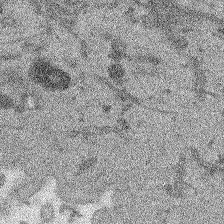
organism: Human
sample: HeLa cells